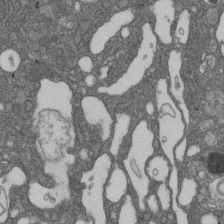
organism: Drosophila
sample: Nephrocyte